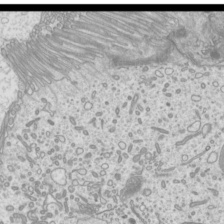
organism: Mouse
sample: Cilia; mouse epididymis